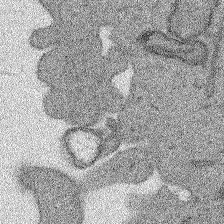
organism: Human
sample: HeLa cells